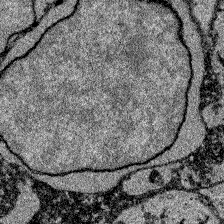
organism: Zebrafish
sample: Larval olfactory bulb